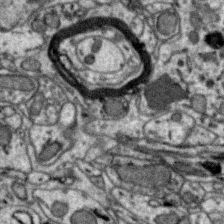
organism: Zebra finch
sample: Brain